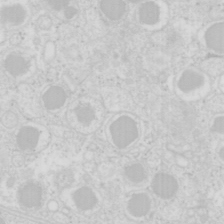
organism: Mouse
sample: Pancreas